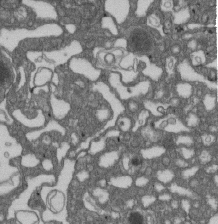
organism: Drosophila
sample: Nephrocyte